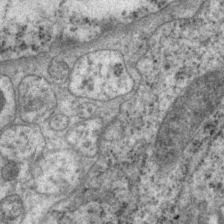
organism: P. pacificus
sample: Pharynx